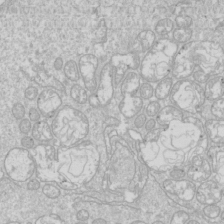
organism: Drosophila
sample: Cell division; meiosis; drosophila spermatocytes